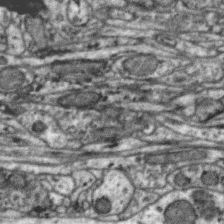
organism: Zebra finch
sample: Brain